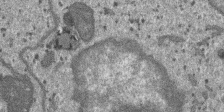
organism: Human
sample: Lung epithelial cells infected with SARS-CoV-2